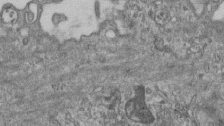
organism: Mouse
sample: Centriole in ependymal cells